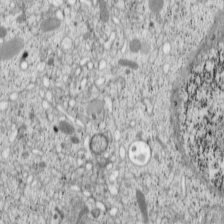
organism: African green monkey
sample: COS-7 cells